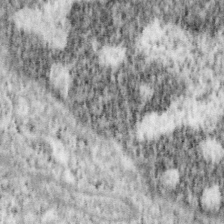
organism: Mouse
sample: OT-I killer T cells with ID8 ovarian cancer cells